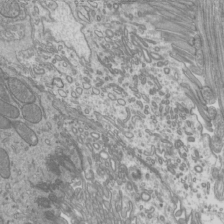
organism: Mouse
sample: Cilia; mouse epididymis